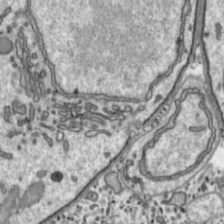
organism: Toxoplasma gondii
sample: Parasites in a vacuole inside a host cell